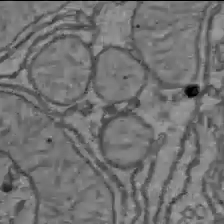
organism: C57BL Mouse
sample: Liver